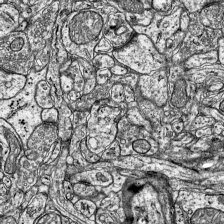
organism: Mouse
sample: Visual Cortex